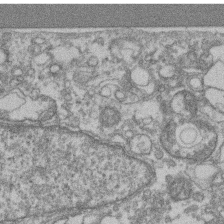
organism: Mouse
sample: T cell stromal cell synapse